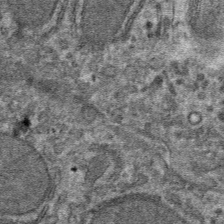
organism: Mouse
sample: Mouse hepatocytes